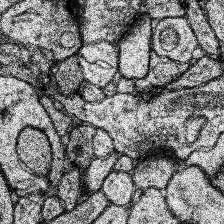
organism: Human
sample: Temporal Lobe